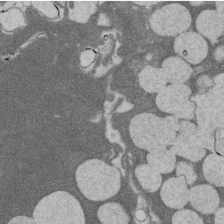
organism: Rat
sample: Salivary granule